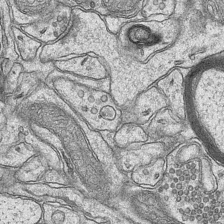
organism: Mouse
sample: CA1 Hippocampus